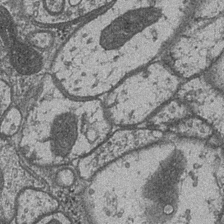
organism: Drosophila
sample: Optic medulla